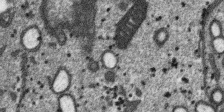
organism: Human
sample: Lung epithelial cells infected with SARS-CoV-2